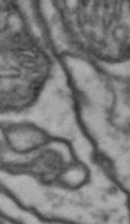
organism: Drosophila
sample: Brain